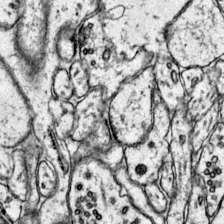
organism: Mouse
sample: Primary visual cortex